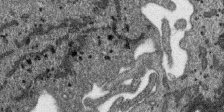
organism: Human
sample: Lung epithelial cells infected with SARS-CoV-2